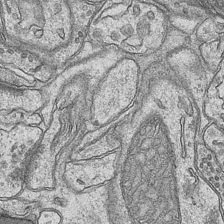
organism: Mouse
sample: CA1 Hippocampus